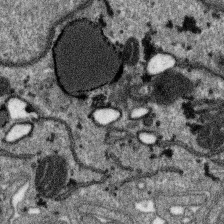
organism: Human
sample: Lung epithelial cells infected with SARS-CoV-2